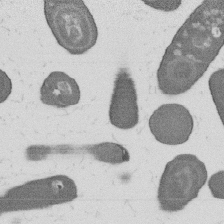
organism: B. subtilis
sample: Bacterial spore